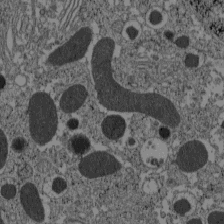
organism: C57BL Mouse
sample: Pancreatic islet